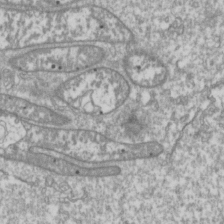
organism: Drosophila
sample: Cell division; meiosis; drosophila spermatocytes